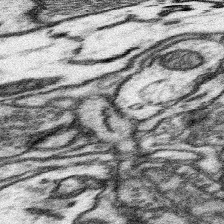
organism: Mouse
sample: Somatosensory cortex neuropil